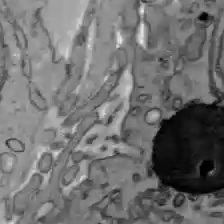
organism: C57BL Mouse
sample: Liver